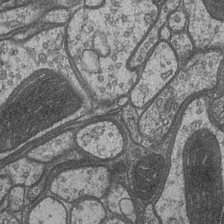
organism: Drosophila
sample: Optic medulla